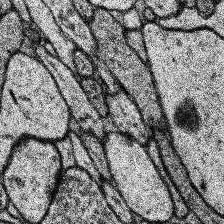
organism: Human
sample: Temporal Lobe